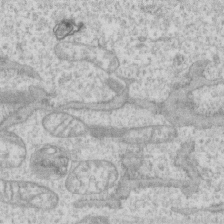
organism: Human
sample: CRL-1474